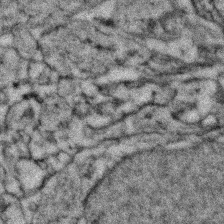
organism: Zebrafish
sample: Zebrafish embryo